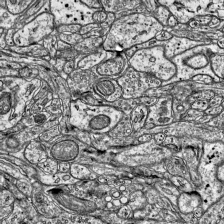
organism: Mouse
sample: Visual Cortex